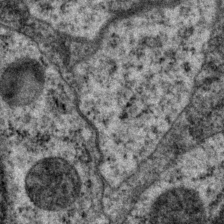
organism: P. pacificus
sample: Pharynx